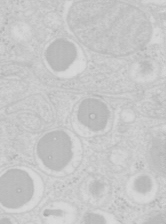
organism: Mouse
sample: Pancreas